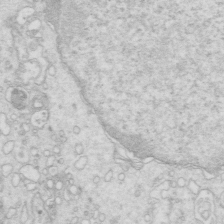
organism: Mouse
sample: Multiciliated cells